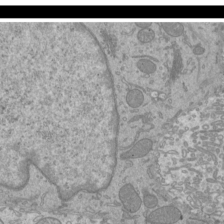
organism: Mouse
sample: Cilia; mouse epididymis